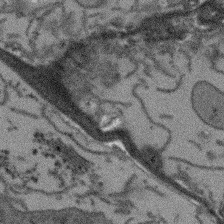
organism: Arabidopsis thaliana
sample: Root tip